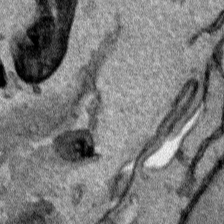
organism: Human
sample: Mitochondria in HCT116 cells